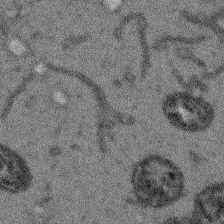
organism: Arabidopsis thaliana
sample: Root tip